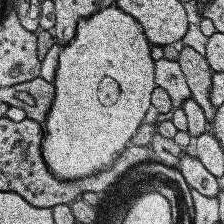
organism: Human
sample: Temporal Lobe